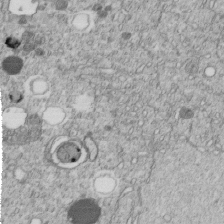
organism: C. elegans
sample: C. elegans embryo early stage